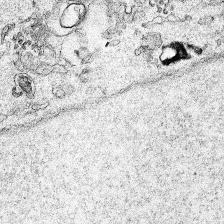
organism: Human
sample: Mitochondria in HCT116 cells